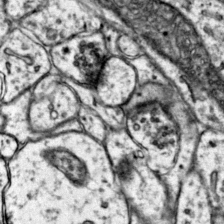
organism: Mouse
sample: Primary visual cortex